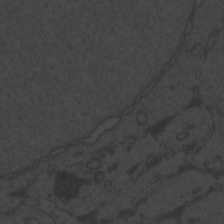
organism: Zebrafish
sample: Macrophage infected with Toxoplasma gondii